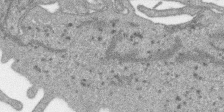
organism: Human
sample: Lung epithelial cells infected with SARS-CoV-2